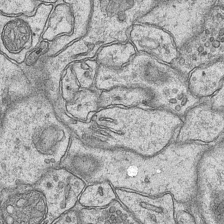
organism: Mouse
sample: CA1 Hippocampus